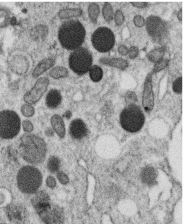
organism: C. elegans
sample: C. elegans oocyte; sperm cells